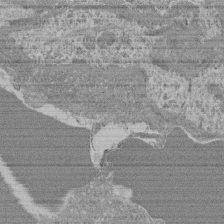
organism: Mouse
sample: Glomerulus